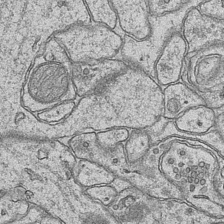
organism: Mouse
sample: CA1 Hippocampus